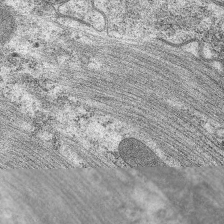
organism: C. elegans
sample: Pharynx